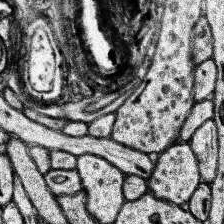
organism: Human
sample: Temporal Lobe